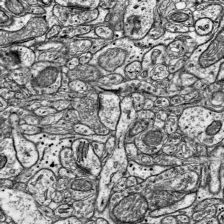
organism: Mouse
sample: Visual Cortex